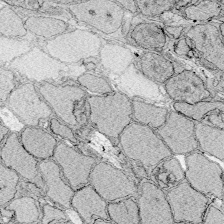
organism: Zebrafish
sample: Whole-Brain